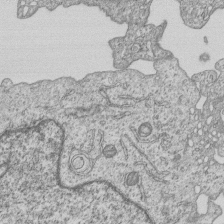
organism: Human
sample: MDA-MB-231 cells